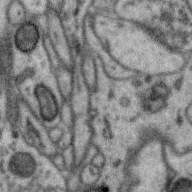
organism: Zebra finch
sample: Brain